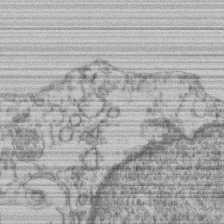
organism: Mouse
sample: T cell stromal cell synapse